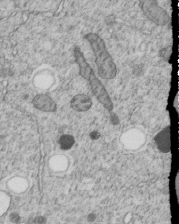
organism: C. elegans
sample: C. elegans embryo early stage